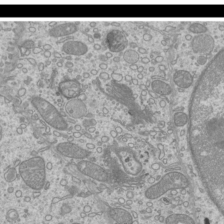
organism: Mouse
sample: Cilia; mouse epididymis